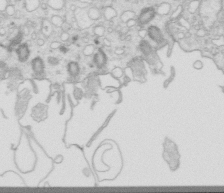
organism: Mouse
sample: Multiciliated cells